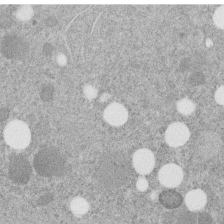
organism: C. elegans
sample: C. elegans embryo early stage